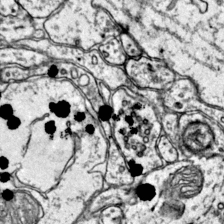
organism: Mouse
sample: Primary visual cortex